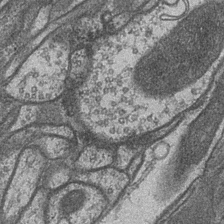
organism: Drosophila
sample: Optic medulla